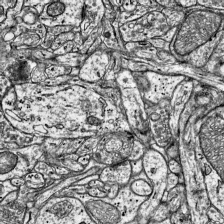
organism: Mouse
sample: Visual Cortex